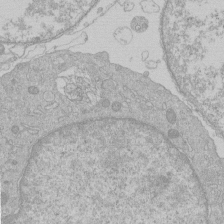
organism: Human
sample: Macrophage cells